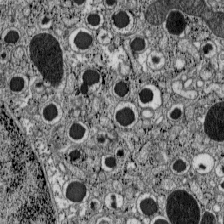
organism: C57BL Mouse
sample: Pancreatic islet